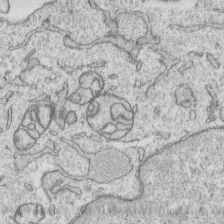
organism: Human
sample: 1205lu cells